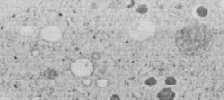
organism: C. elegans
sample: C. elegans embryo early stage